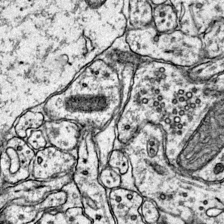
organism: Mouse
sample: Primary visual cortex